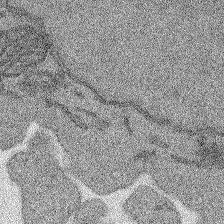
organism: Human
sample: HeLa cells